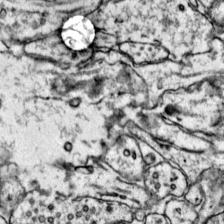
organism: Mouse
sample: Primary visual cortex